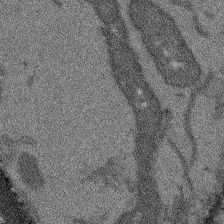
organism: Arabidopsis thaliana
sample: Root tip